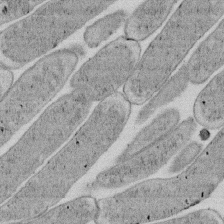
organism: E. coli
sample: Bacterial nucleoid